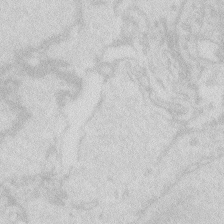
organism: Zebrafish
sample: Macrophage